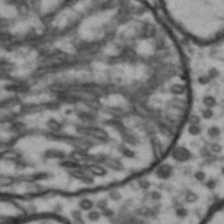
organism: Drosophila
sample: Brain